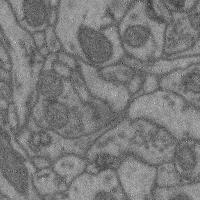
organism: Mouse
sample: Cerebral cortex